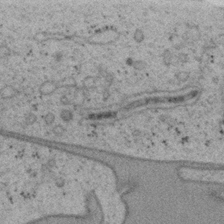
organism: Human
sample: HeLa cells